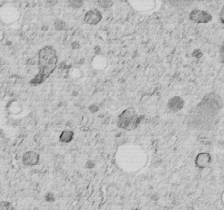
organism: C. elegans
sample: C. elegans embryo early stage